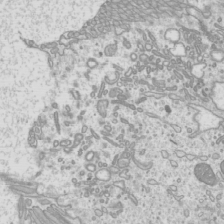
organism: Mouse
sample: Cilia; mouse epididymis